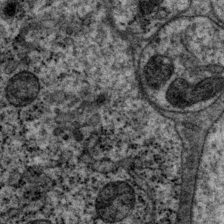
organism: P. pacificus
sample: Pharynx